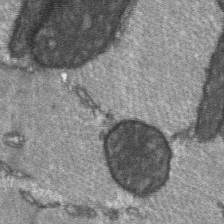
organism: C57BL Mouse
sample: Soleus